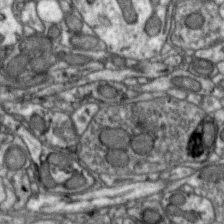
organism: Zebra finch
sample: Brain